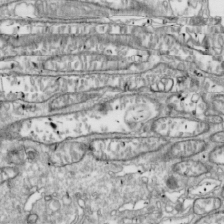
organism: Drosophila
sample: Cell division; meiosis; drosophila spermatocytes